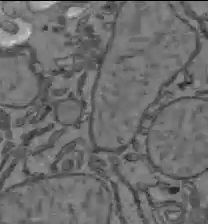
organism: C57BL Mouse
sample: Liver